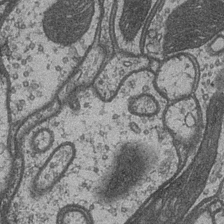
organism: Drosophila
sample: Optic medulla